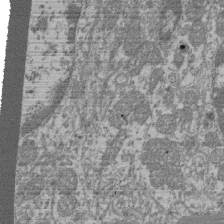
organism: Mouse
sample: Glomerulus